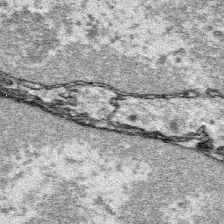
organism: Platynereis dumerilii